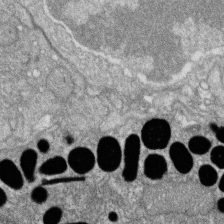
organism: Zebrafish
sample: Cilia; retinal pigment epithelium